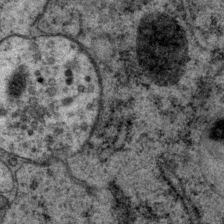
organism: P. pacificus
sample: Pharynx